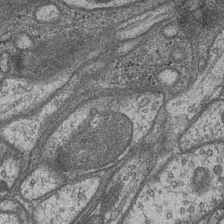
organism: Drosophila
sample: Optic medulla